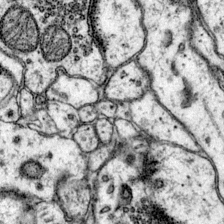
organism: Mouse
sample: Primary visual cortex